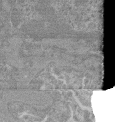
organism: Mouse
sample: Glomerulus